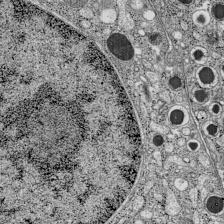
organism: C57BL Mouse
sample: Pancreatic islet